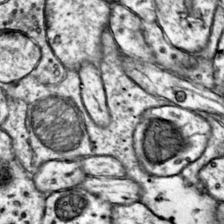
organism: Mouse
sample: Primary visual cortex